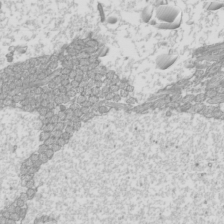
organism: Mouse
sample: Cilia; mouse epididymis